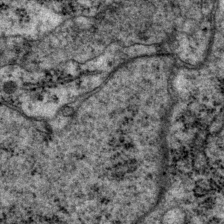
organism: P. pacificus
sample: Pharynx